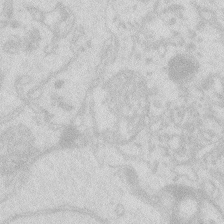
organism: Zebrafish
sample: Macrophage